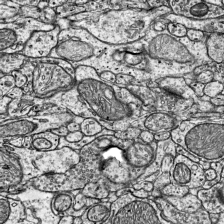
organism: Mouse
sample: Visual Cortex